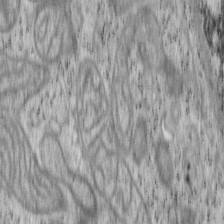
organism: Human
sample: HeLa cells